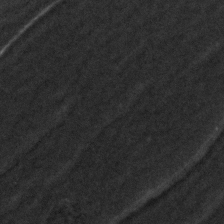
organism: Zebrafish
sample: Zebrafish embryo